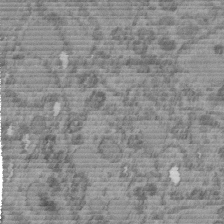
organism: C. elegans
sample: C. elegans embryo early stage